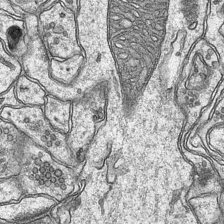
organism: Mouse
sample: CA1 Hippocampus